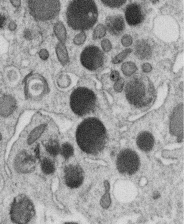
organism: C. elegans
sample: C. elegans oocyte; sperm cells